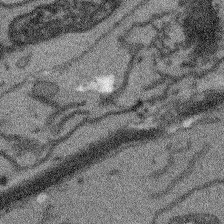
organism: Arabidopsis thaliana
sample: Root tip